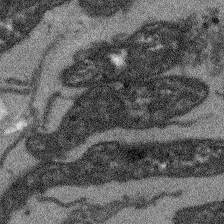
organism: Arabidopsis thaliana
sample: Root tip